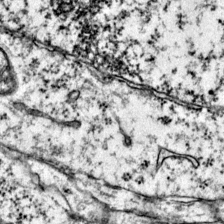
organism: Mouse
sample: Primary visual cortex